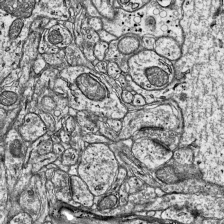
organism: Mouse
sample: Visual Cortex